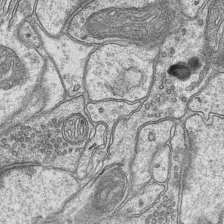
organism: Mouse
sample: CA1 Hippocampus